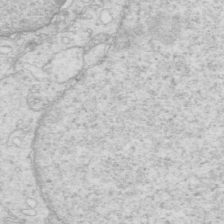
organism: Mouse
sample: Multiciliated cells